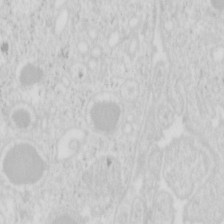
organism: Mouse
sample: Pancreas